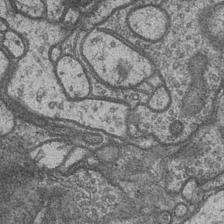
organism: Drosophila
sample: Optic medulla